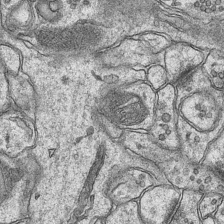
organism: Mouse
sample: CA1 Hippocampus